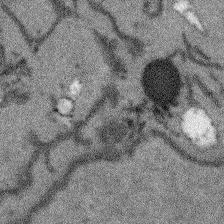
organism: Arabidopsis thaliana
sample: Root tip